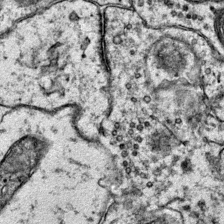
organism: Mouse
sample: Primary visual cortex